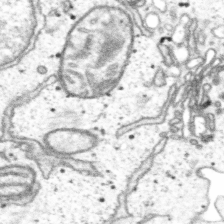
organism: Human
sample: HeLa cells